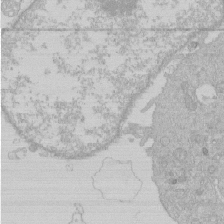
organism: Human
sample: Macrophage cells